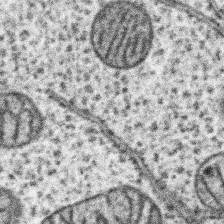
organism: Human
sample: HeLa cells